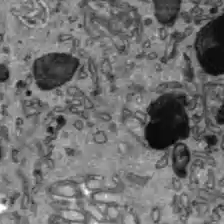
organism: C57BL Mouse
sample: Liver